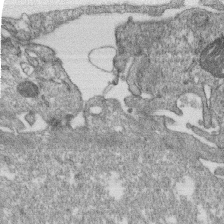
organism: African green monkey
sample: Vero E6 cells infected with SARS-CoV-2